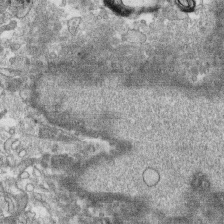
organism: Human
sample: CRL-1474